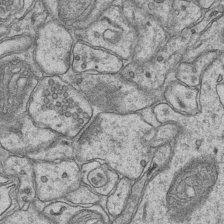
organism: Mouse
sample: CA1 Hippocampus